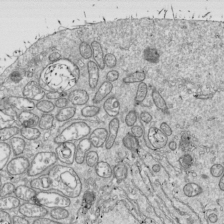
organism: Drosophila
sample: Cell division; meiosis; drosophila spermatocytes